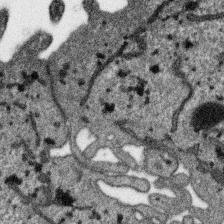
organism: Human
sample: Lung epithelial cells infected with SARS-CoV-2